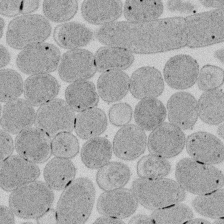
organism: E. coli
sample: Bacterial nucleoid